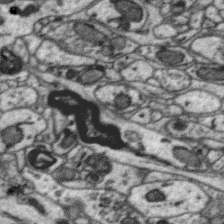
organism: Zebra finch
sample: Brain